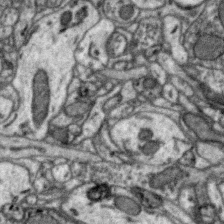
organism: Zebra finch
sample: Brain